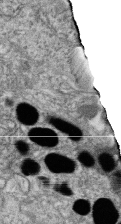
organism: Zebrafish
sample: Cilia; retinal pigment epithelium